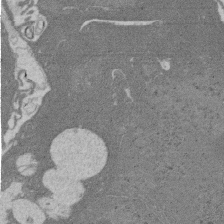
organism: Rat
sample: Salivary granule